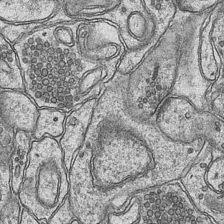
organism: Mouse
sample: CA1 Hippocampus